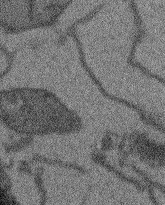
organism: Arabidopsis thaliana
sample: Root tip